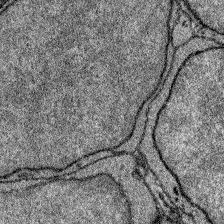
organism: Zebrafish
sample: Larval olfactory bulb